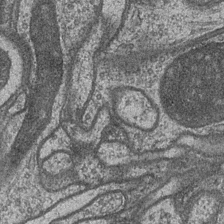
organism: Drosophila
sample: Optic medulla